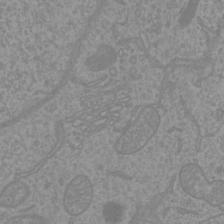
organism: Mouse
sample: Cortical neurons